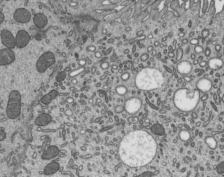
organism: Mouse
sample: Mouse epididymis efferent ductule cilia